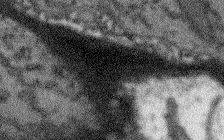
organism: Arabidopsis thaliana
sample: Root tip